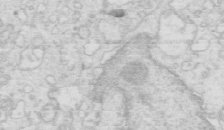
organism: Mouse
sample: Multiciliated cells